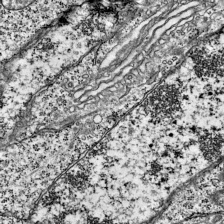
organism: Mouse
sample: Visual Cortex